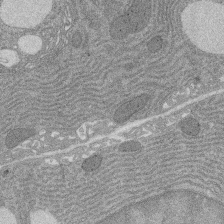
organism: Rat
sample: Salivary granule